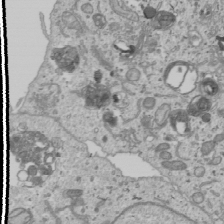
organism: Human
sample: Mitochondria in U2OS cells